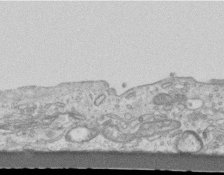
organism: Mouse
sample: Centriole in ependymal cells